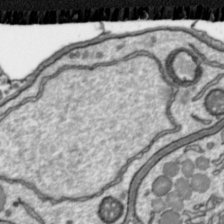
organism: Toxoplasma gondii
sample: Parasites in a vacuole inside a host cell